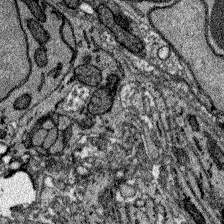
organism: Zebrafish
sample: Larval olfactory bulb